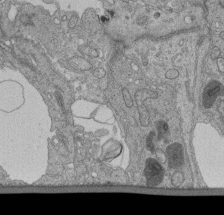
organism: Human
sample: Retinal organoid Rod and Cone cells